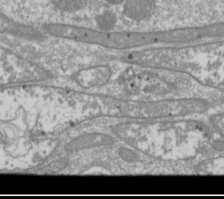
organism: Drosophila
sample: Cell division; meiosis; drosophila spermatocytes